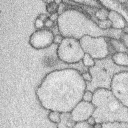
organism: Rabbit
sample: Retina